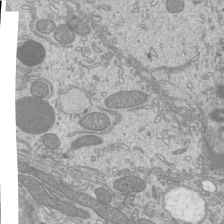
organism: Mouse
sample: Cilia; mouse epididymis